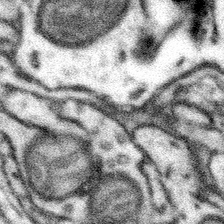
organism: Mouse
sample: Somatosensory cortex neuropil